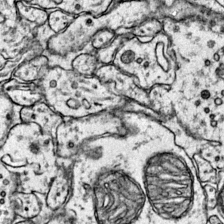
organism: Mouse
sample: Primary visual cortex